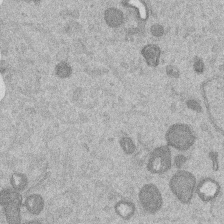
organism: Mouse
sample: Dividing mouse embryo 1 cell stage